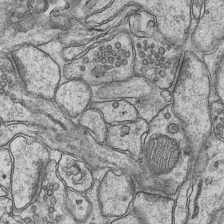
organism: Mouse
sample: CA1 Hippocampus